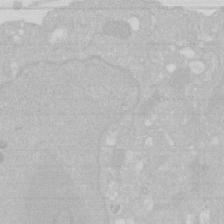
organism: Human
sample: HIV infected U937 cells